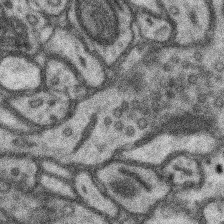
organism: Mouse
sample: Somatosensory cortex neuropil